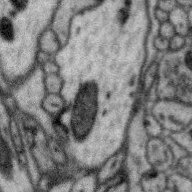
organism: Zebra finch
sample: Brain